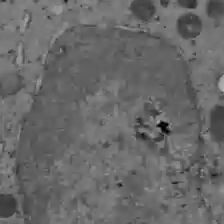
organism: C57BL Mouse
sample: Liver